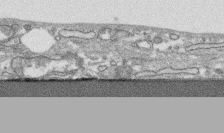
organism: Human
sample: CRL-1474